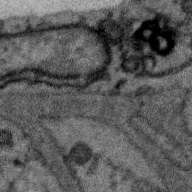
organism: Zebra finch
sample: Brain